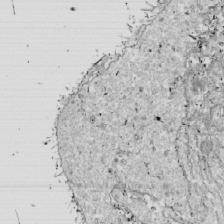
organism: Drosophila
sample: Cell division; meiosis; drosophila spermatocytes